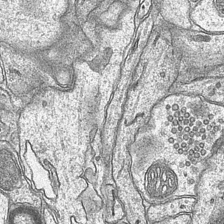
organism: Mouse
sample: CA1 Hippocampus